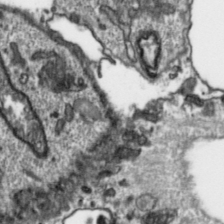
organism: Toxoplasma gondii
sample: Parasites in a vacuole inside a host cell